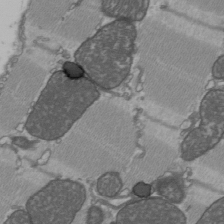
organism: C57BL Mouse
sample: Heart